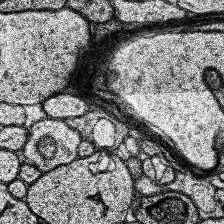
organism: Human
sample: Temporal Lobe